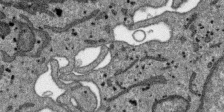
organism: Human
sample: Lung epithelial cells, uninfected (mock) control